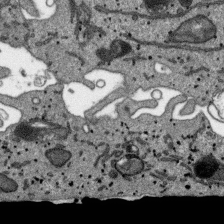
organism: Human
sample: Lung epithelial cells, uninfected (mock) control